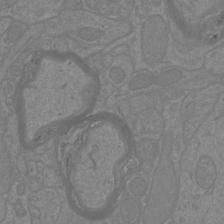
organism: Mouse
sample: Cortical neurons